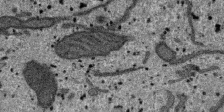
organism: Human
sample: Lung epithelial cells, uninfected (mock) control